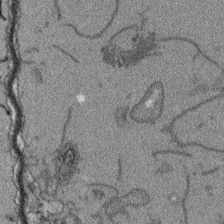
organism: Arabidopsis thaliana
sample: Root tip